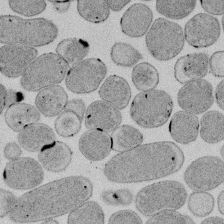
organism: E. coli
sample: Bacterial nucleoid